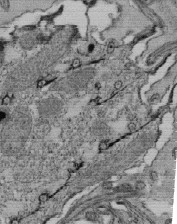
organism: Tetrahymena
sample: Cilia in tetrahymena